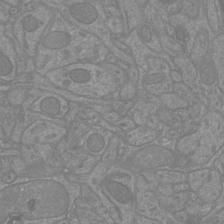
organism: Mouse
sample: Cortical neurons